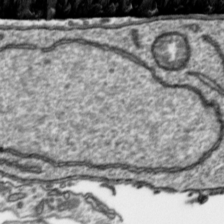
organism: Toxoplasma gondii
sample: Parasites in a vacuole inside a host cell